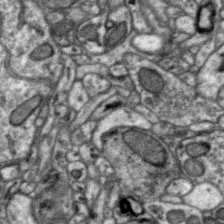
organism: Zebra finch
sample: Brain